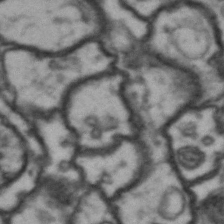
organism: Drosophila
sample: Brain